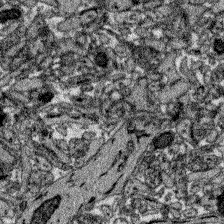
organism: Zebrafish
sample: Larval olfactory bulb